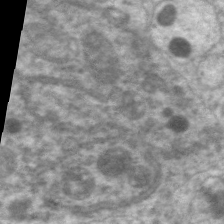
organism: C. elegans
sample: Pharynx